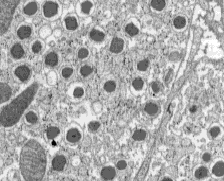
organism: C57BL Mouse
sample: Pancreatic islet